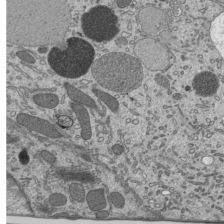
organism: Mouse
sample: Mouse epididymis efferent ductule cilia